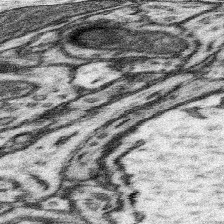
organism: Mouse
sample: Somatosensory cortex neuropil